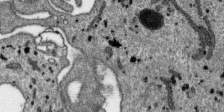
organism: Human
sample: Lung epithelial cells, uninfected (mock) control